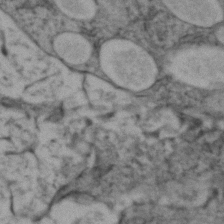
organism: Zebrafish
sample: Zebrafish embryo